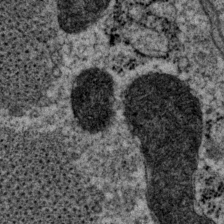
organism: P. pacificus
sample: Pharynx